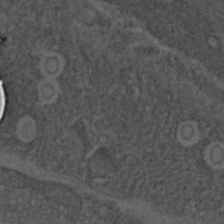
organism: C. elegans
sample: C. elegans embryo